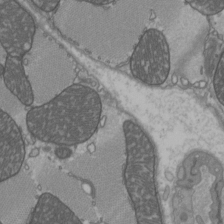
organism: C57BL Mouse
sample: Heart